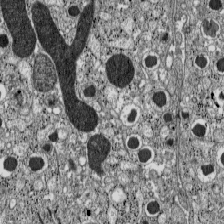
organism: C57BL Mouse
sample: Pancreatic islet